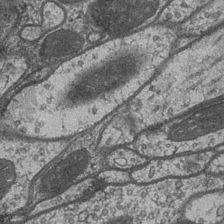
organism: Drosophila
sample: Optic medulla